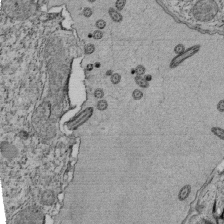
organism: Tetrahymena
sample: Cilia in tetrahymena